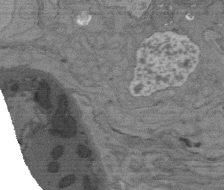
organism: C. elegans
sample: AFD neurons C. elegans